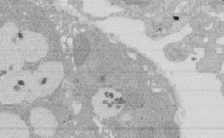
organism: Rat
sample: Salivary granule